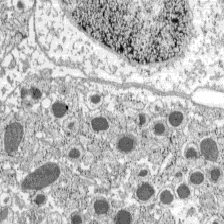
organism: C57BL Mouse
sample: Pancreatic islet